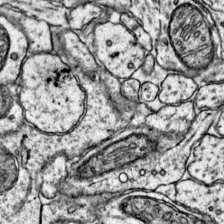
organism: Mouse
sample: Primary visual cortex